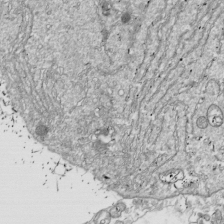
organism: Drosophila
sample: Cell division; meiosis; drosophila spermatocytes